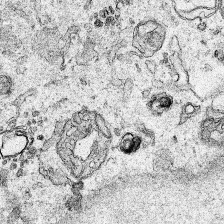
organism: Human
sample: Mitochondria in HCT116 cells